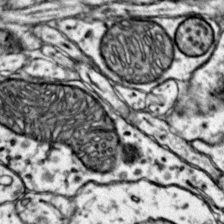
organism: Mouse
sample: Primary visual cortex